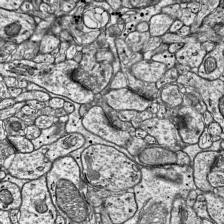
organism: Mouse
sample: Visual Cortex